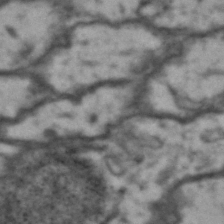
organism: Drosophila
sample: Brain